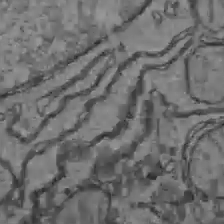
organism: C57BL Mouse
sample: Liver